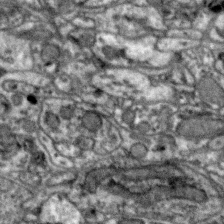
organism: Zebra finch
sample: Brain